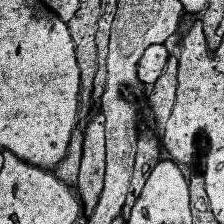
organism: Human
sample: Temporal Lobe